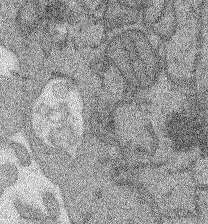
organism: Human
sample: HeLa cells